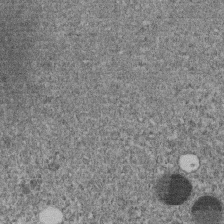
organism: C. elegans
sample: C. elegans embryo early stage